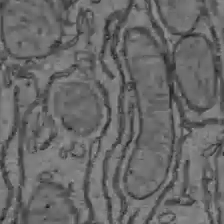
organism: C57BL Mouse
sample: Liver